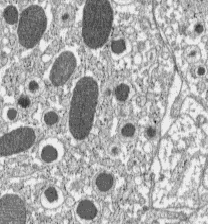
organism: C57BL Mouse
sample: Pancreatic islet